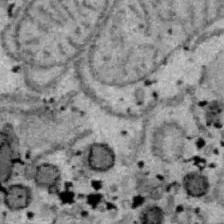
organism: Mouse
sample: Liver from an obese (ob/ob) mouse